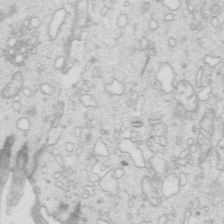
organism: Mouse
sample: Multiciliated cells